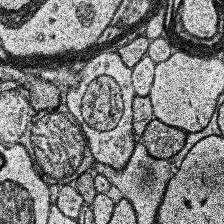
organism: Human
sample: Temporal Lobe